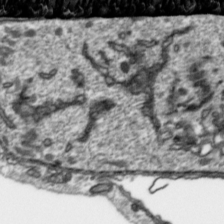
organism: Toxoplasma gondii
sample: Parasites in a vacuole inside a host cell